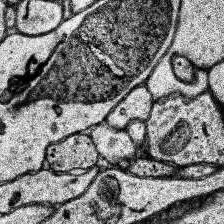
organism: Human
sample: Temporal Lobe